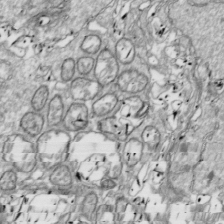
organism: Drosophila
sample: Cell division; meiosis; drosophila spermatocytes